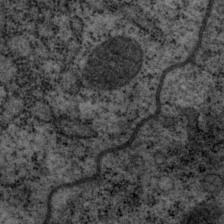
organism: P. pacificus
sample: Pharynx